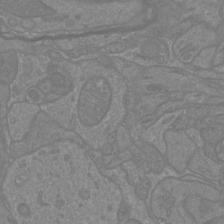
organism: Mouse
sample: Cortical neurons